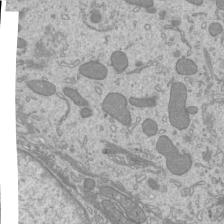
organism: Mouse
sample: Cilia; mouse epididymis